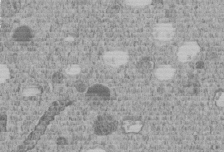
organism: C. elegans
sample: C. elegans embryo early stage